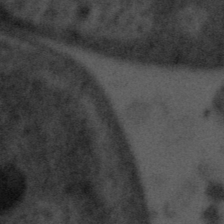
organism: Tuwongella immobilis